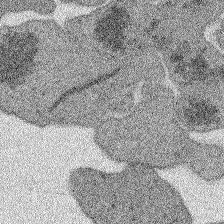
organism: Human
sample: HeLa cells